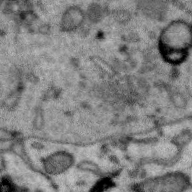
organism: Zebra finch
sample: Brain